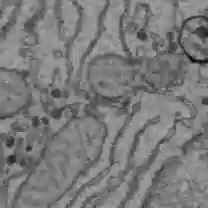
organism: C57BL Mouse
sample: Liver